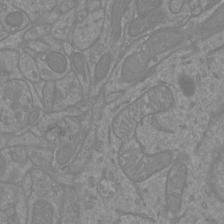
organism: Mouse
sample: Cortical neurons